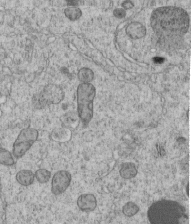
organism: C. elegans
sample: C. elegans embryo early stage